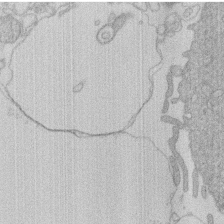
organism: Human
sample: Macrophage cells